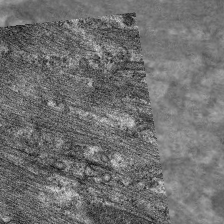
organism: C. elegans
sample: Pharynx